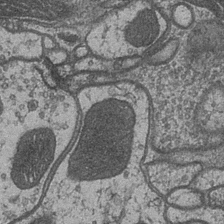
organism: Drosophila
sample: Optic medulla